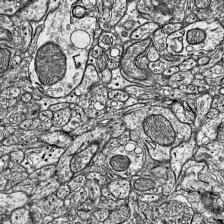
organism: Mouse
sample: Visual Cortex